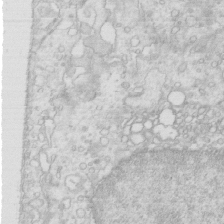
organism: Mouse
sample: Multiciliated cells